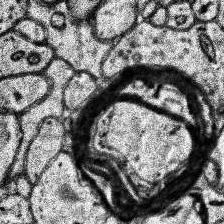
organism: Human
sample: Temporal Lobe